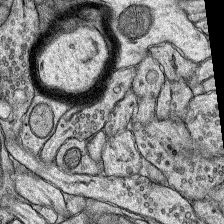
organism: Rat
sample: Hippocampus